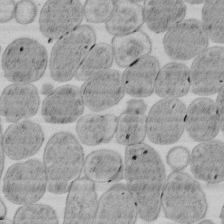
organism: E. coli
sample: Bacterial nucleoid